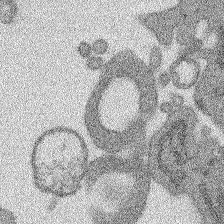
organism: Human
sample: HeLa cells